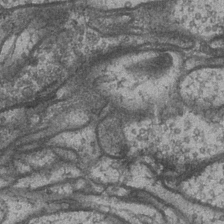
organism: Drosophila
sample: Optic medulla